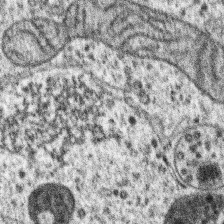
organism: Human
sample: HeLa cells